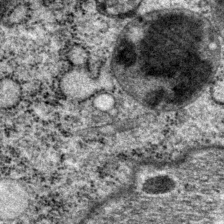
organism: P. pacificus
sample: Pharynx